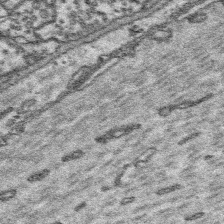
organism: Platynereis dumerilii